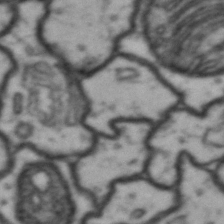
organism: Drosophila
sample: Brain